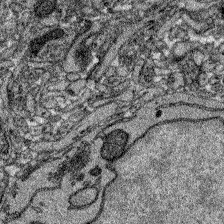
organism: Zebrafish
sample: Larval olfactory bulb